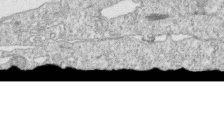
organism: Human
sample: HeLa cell HIV synapse